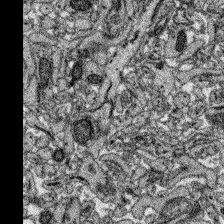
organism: Zebrafish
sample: Larval olfactory bulb